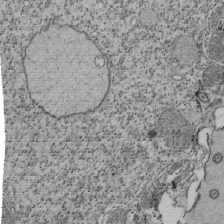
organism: Tetrahymena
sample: Cilia in tetrahymena